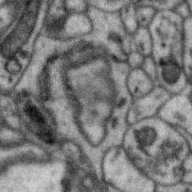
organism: Zebra finch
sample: Brain